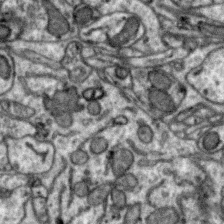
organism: Zebra finch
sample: Brain